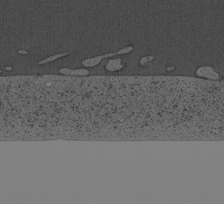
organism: African green monkey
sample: COS-7 cells